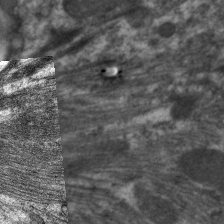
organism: C. elegans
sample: Pharynx